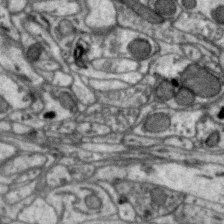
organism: Zebra finch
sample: Brain